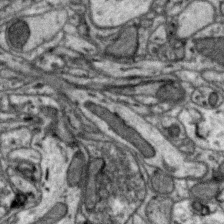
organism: Zebra finch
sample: Brain